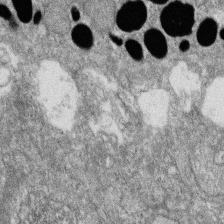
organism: Zebrafish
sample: Cilia; retinal pigment epithelium